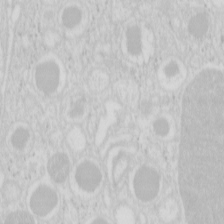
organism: Mouse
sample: Pancreas